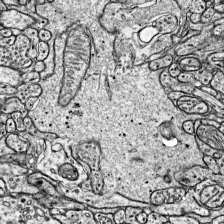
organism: Mouse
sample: Visual Cortex